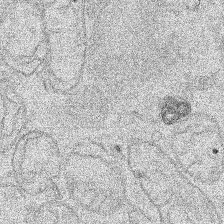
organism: Human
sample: Mitochondria in HCT116 cells